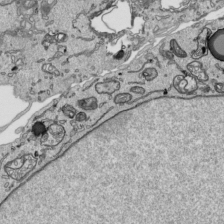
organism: Human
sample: Mitochondria in HCT116 cells